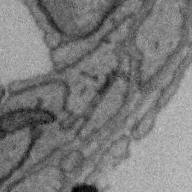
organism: Zebra finch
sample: Brain